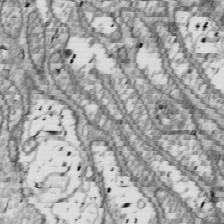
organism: Drosophila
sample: Cell division; meiosis; drosophila spermatocytes